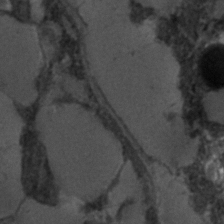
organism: C. elegans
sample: C. elegans embryo